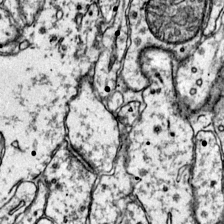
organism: Mouse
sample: Primary visual cortex